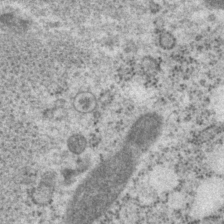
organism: P. pacificus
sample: Pharynx